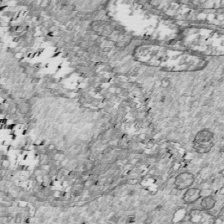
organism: Drosophila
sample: Cell division; meiosis; drosophila spermatocytes